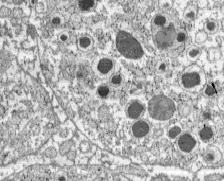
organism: C57BL Mouse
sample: Pancreatic islet